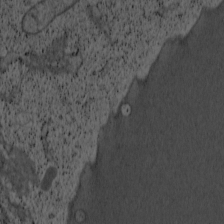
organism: African green monkey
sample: COS-7 cells